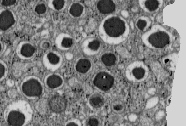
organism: C57BL Mouse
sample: Pancreatic islet